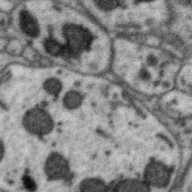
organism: Zebra finch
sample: Brain